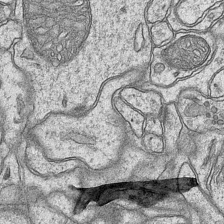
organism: Mouse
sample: CA1 Hippocampus